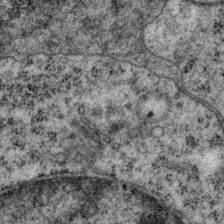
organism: P. pacificus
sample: Pharynx